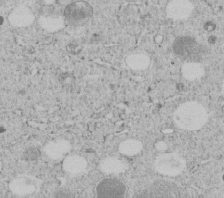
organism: C. elegans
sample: C. elegans embryo early stage